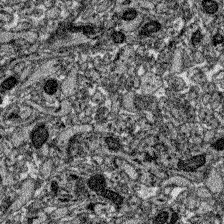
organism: Zebrafish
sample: Larval olfactory bulb